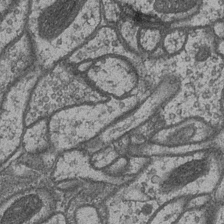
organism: Drosophila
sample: Optic medulla